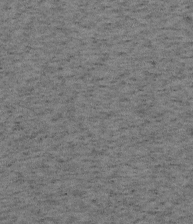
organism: Mouse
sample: OT-I killer T cells with ID8 ovarian cancer cells